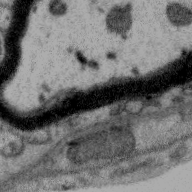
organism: Zebra finch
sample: Brain